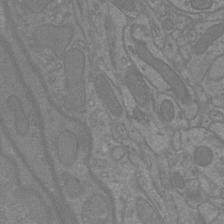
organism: Mouse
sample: Cortical neurons